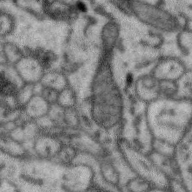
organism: Zebra finch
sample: Brain